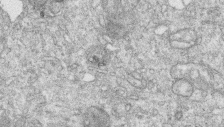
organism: Human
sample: HeLa cell HIV synapse